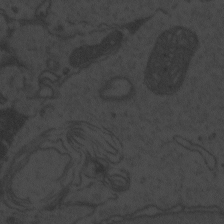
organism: Zebrafish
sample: Macrophage infected with Toxoplasma gondii